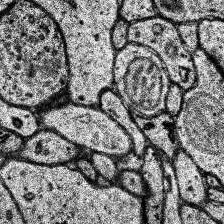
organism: Human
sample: Temporal Lobe